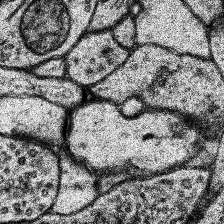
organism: Human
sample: Temporal Lobe